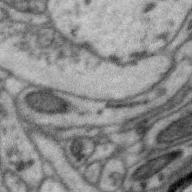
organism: Zebra finch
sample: Brain